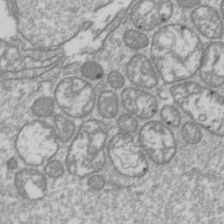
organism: Drosophila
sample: Cell division; meiosis; drosophila spermatocytes